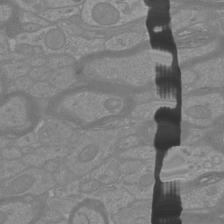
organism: Mouse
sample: Cortical neurons